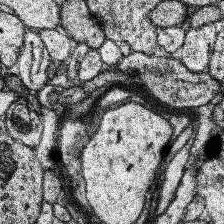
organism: Human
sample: Temporal Lobe